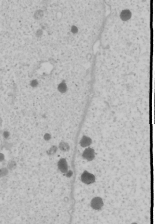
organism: Human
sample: Mitochondria in U2OS cells